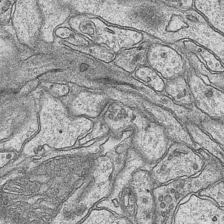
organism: Mouse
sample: CA1 Hippocampus